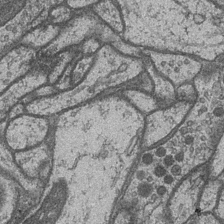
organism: Drosophila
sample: Optic medulla